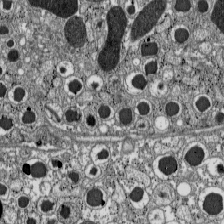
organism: C57BL Mouse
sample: Pancreatic islet